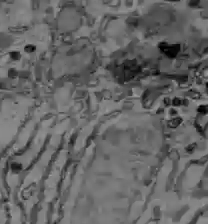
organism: C57BL Mouse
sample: Liver